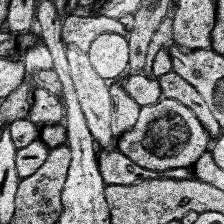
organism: Human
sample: Temporal Lobe